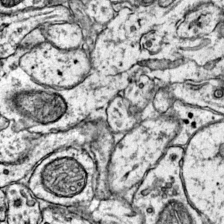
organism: Mouse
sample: Primary visual cortex